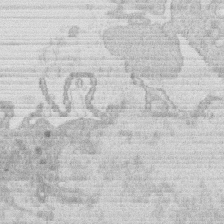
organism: Human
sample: Macrophage cells